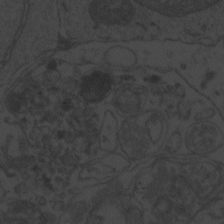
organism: Zebrafish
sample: Macrophage infected with Toxoplasma gondii